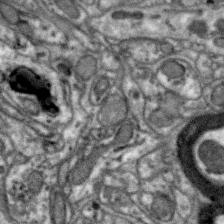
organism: Zebra finch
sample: Brain